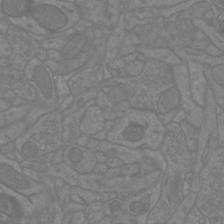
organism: Mouse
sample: Cortical neurons